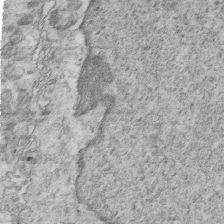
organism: Mouse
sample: Multiciliated cells